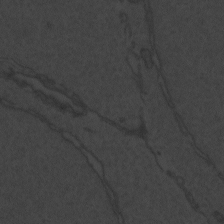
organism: Zebrafish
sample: Macrophage infected with Toxoplasma gondii